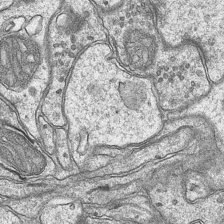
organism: Mouse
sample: CA1 Hippocampus